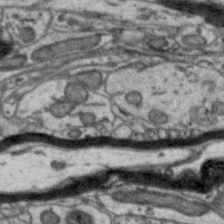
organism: Zebra finch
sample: Brain